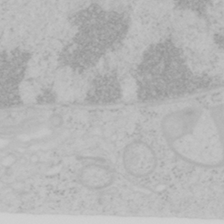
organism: Mouse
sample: OT-I killer T cells with ID8 ovarian cancer cells